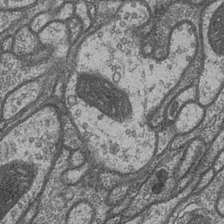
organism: Drosophila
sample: Optic medulla